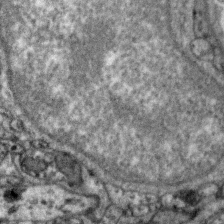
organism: Zebra finch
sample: Brain